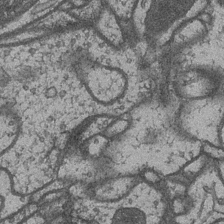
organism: Drosophila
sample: Optic medulla